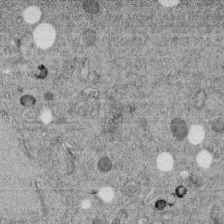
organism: C. elegans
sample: C. elegans embryo early stage